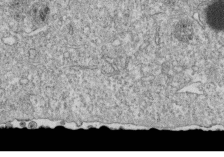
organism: Human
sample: HeLa cell HIV synapse